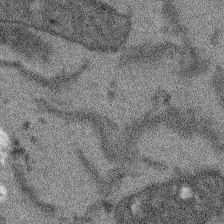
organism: Arabidopsis thaliana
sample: Root tip